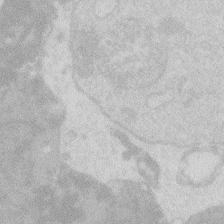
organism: Zebrafish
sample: Macrophage